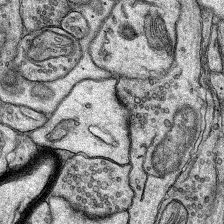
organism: Rat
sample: Hippocampus